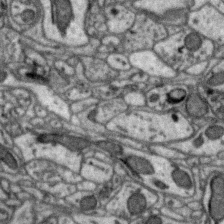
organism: Zebra finch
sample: Brain